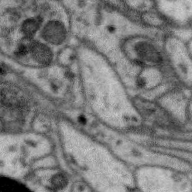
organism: Zebra finch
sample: Brain